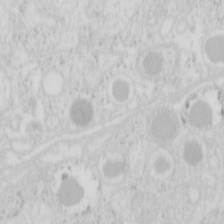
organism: Mouse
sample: Pancreas